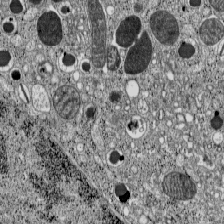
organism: C57BL Mouse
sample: Pancreatic islet